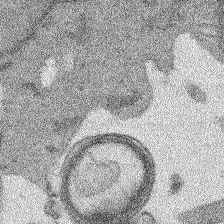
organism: Human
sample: HeLa cells